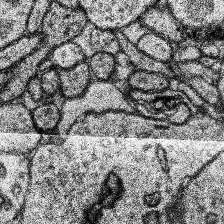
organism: Human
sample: Temporal Lobe